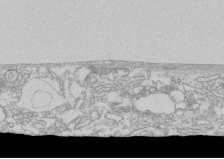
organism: Human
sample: CRL-1474